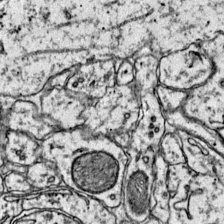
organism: Mouse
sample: Primary visual cortex